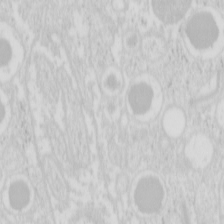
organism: Mouse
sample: Pancreas